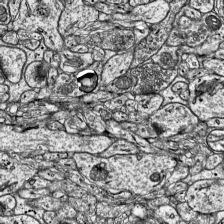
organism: Mouse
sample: Visual Cortex